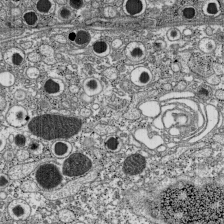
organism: C57BL Mouse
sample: Pancreatic islet